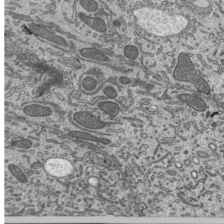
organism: Mouse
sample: Mouse epididymis efferent ductule cilia